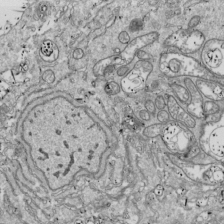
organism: Drosophila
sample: Cell division; meiosis; drosophila spermatocytes